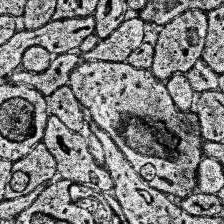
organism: Human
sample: Temporal Lobe